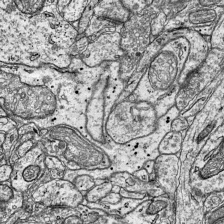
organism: Mouse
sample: Visual Cortex